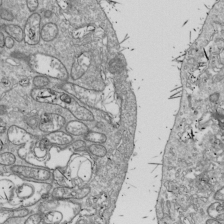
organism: Drosophila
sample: Cell division; meiosis; drosophila spermatocytes